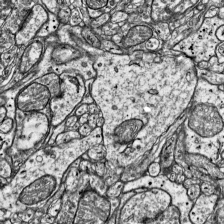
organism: Mouse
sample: Visual Cortex